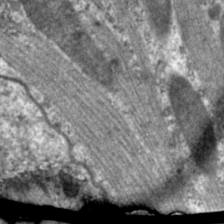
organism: C. elegans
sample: Pharynx